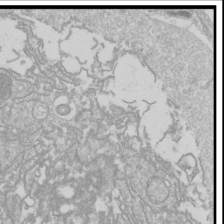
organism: Drosophila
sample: Cell division; meiosis; drosophila spermatocytes